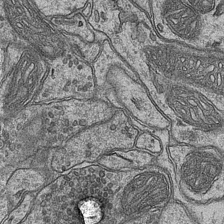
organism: Mouse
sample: CA1 Hippocampus